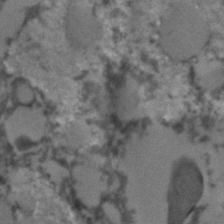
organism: C. elegans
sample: C. elegans embryo